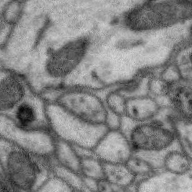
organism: Zebra finch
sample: Brain